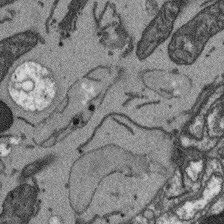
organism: Arabidopsis thaliana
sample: Root tip